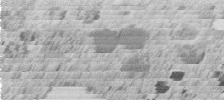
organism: C. elegans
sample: C. elegans embryo early stage